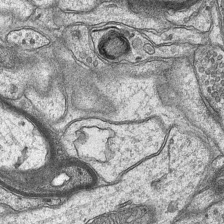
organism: Mouse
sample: CA1 Hippocampus